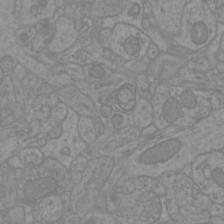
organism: Mouse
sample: Cortical neurons